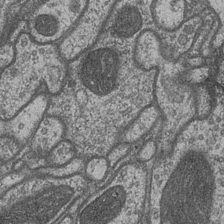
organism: Drosophila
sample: Optic medulla